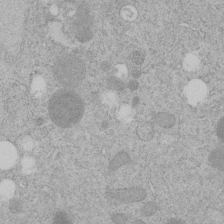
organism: C. elegans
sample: C. elegans embryo early stage